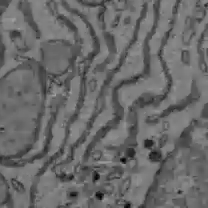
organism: C57BL Mouse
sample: Liver